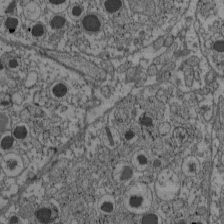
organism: C57BL Mouse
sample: Pancreatic islet